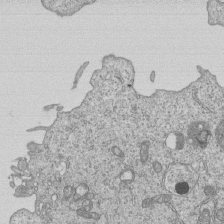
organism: Human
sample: MDA-MB-231 cells